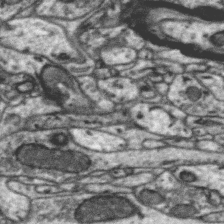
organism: Zebra finch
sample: Brain